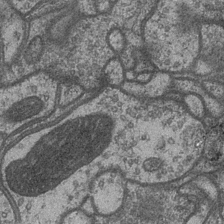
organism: Drosophila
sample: Optic medulla